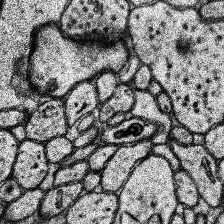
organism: Human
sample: Temporal Lobe